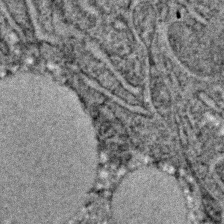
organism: C. elegans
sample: C. elegans embryo